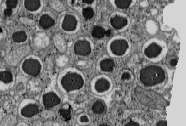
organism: C57BL Mouse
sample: Pancreatic islet